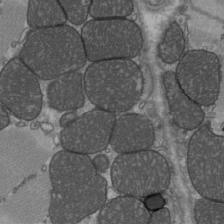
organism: C57BL Mouse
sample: Heart